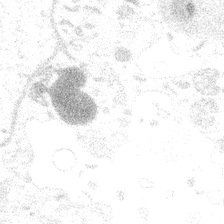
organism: Spongilla lacustris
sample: Multiple